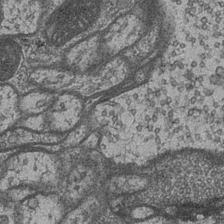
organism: Drosophila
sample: Optic medulla